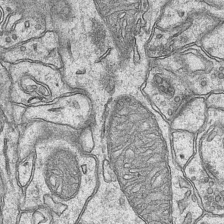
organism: Mouse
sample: CA1 Hippocampus